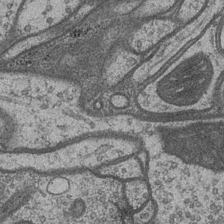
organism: Drosophila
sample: Optic medulla